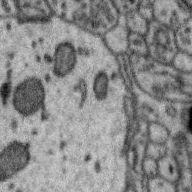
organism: Zebra finch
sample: Brain